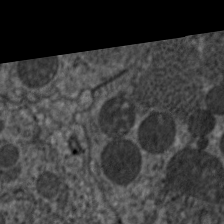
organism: C. elegans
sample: Pharynx